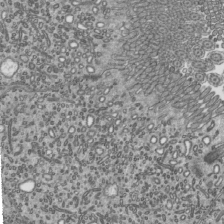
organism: Mouse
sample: Mouse epididymis efferent ductule cilia